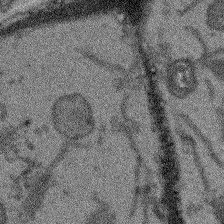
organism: Arabidopsis thaliana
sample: Root tip